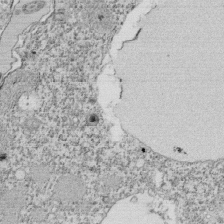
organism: Tetrahymena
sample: Cilia in tetrahymena